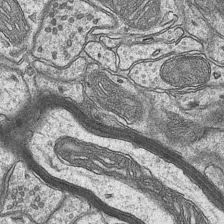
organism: Mouse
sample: CA1 Hippocampus